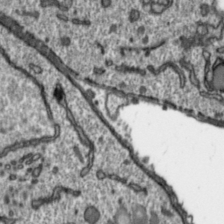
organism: Toxoplasma gondii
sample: Parasites in a vacuole inside a host cell